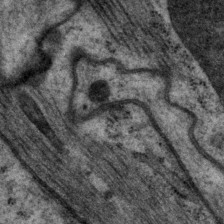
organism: P. pacificus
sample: Pharynx